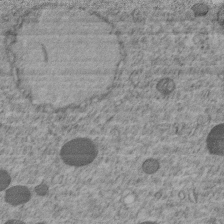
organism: C. elegans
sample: C. elegans embryo early stage